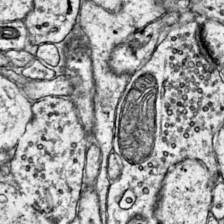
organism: Mouse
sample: Primary visual cortex